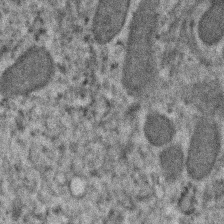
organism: Human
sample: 1205lu cells